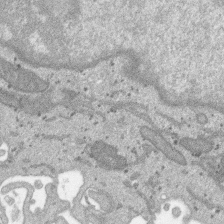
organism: Human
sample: Lung epithelial cells infected with SARS-CoV-2